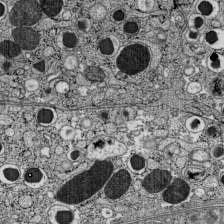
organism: C57BL Mouse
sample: Pancreatic islet